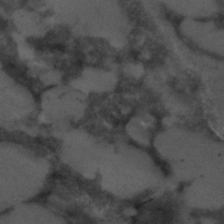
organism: C. elegans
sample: C. elegans embryo